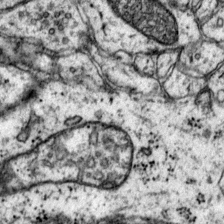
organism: Mouse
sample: Primary visual cortex